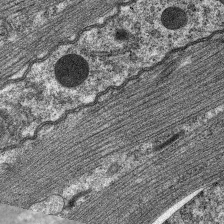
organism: C. elegans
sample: Pharynx